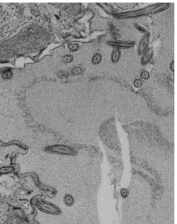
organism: Tetrahymena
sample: Cilia in tetrahymena